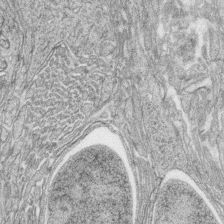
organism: Zebrafish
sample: synaptic ribbons in rod cells and cone cells